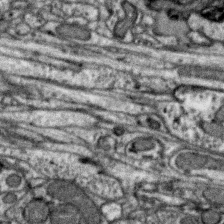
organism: Zebra finch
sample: Brain